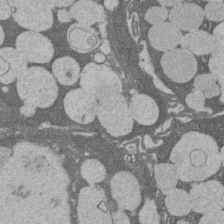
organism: Rat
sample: Salivary granule